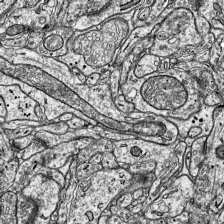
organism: Mouse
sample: Visual Cortex